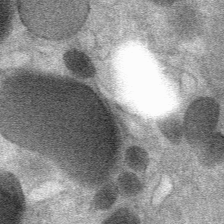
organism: Mouse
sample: Mouse Salivary gland